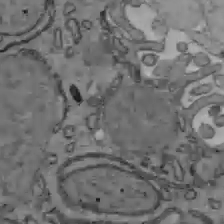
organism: C57BL Mouse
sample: Liver